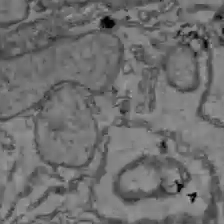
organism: C57BL Mouse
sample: Liver